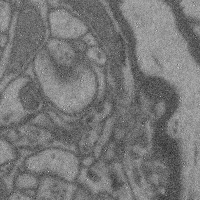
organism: Mouse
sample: Cerebral cortex